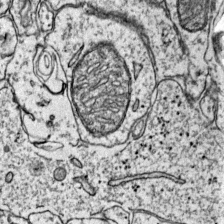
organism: Mouse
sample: Primary visual cortex